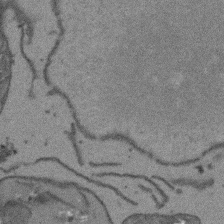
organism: Arabidopsis thaliana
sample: Root tip